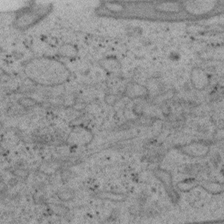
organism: Human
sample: HeLa cells